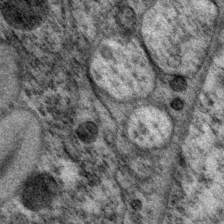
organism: P. pacificus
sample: Pharynx